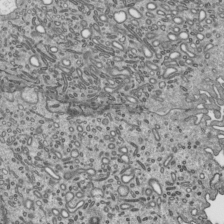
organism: Mouse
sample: Mouse epididymis efferent ductule cilia